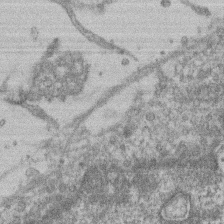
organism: Mouse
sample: T cell stromal cell synapse